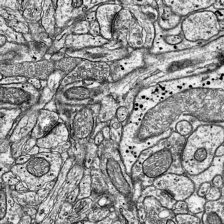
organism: Mouse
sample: Visual Cortex